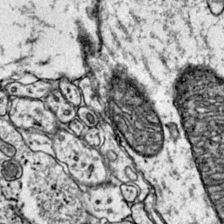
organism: Mouse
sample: Primary visual cortex